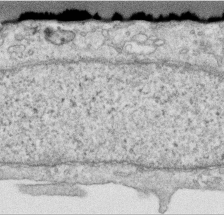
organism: Human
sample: Centriole in RPE cells